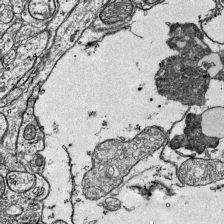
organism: Mouse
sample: Visual Cortex